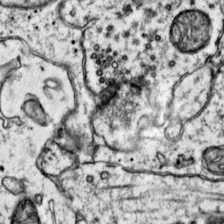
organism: Mouse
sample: Primary visual cortex